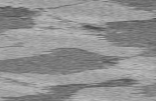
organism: C57BL Mouse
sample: Heart